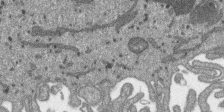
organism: Human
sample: Lung epithelial cells infected with SARS-CoV-2